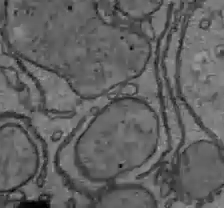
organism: C57BL Mouse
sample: Liver